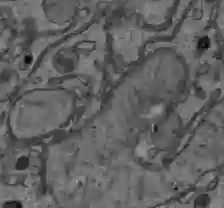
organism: C57BL Mouse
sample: Liver